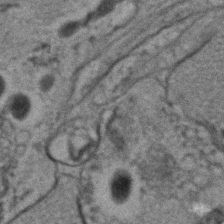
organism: C. elegans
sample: C. elegans embryo